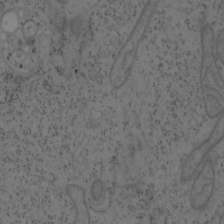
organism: Mouse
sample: OT-I killer T cells with ID8 ovarian cancer cells